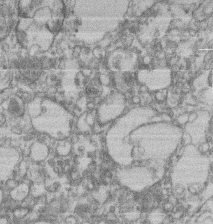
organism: Mouse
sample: T cell stromal cell synapse